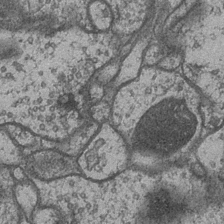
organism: Drosophila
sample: Optic medulla